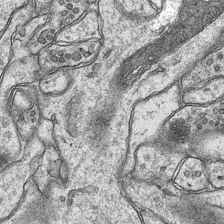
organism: Mouse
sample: CA1 Hippocampus